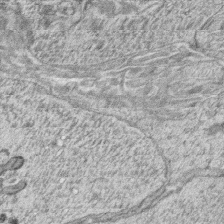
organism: Zebrafish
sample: synaptic ribbons in rod cells and cone cells